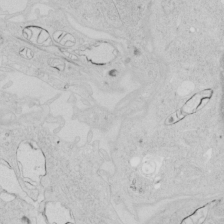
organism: Human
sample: Mitochondria in HCT116 cells